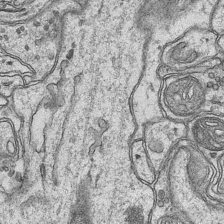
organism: Mouse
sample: CA1 Hippocampus